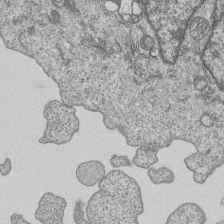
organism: Human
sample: MDA-MB-231 cells